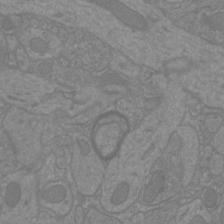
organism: Mouse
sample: Cortical neurons